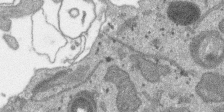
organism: Human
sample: Lung epithelial cells infected with SARS-CoV-2